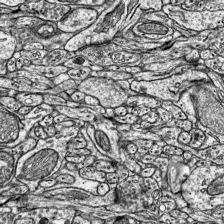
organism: Mouse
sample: Visual Cortex